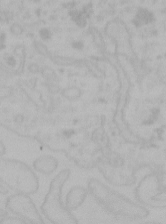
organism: Mouse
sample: Choroid plexus